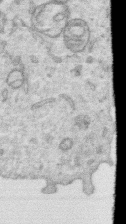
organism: Human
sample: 1205lu cells